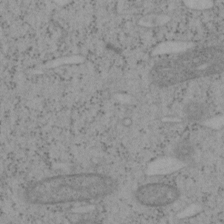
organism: Mouse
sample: OT-I killer T cells with ID8 ovarian cancer cells